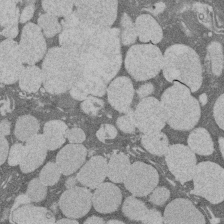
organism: Rat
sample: Salivary granule